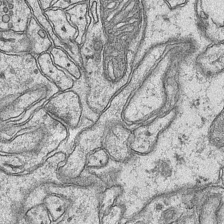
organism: Mouse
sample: CA1 Hippocampus